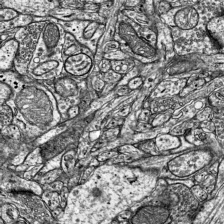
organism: Mouse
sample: Visual Cortex